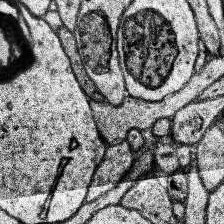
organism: Human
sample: Temporal Lobe